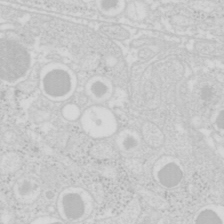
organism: Mouse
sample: Pancreas